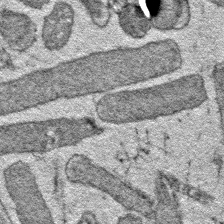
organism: E. coli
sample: E. Coli Bacteria